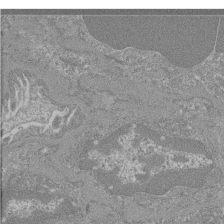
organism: Mouse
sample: Glomerulus